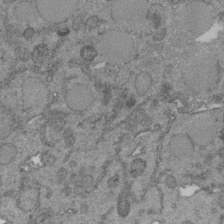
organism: C. elegans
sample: C. elegans embryo early stage